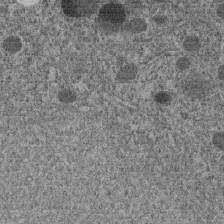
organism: C. elegans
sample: C. elegans embryo early stage